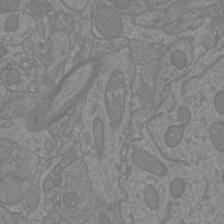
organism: Mouse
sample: Cortical neurons